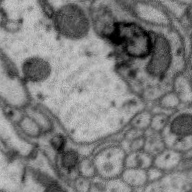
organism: Zebra finch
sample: Brain